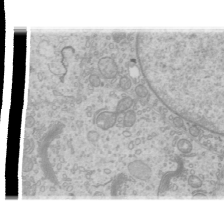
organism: Mouse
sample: Cilia; mouse epididymis